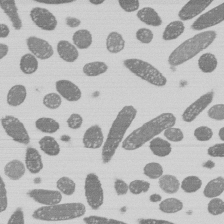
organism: E. coli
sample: Bacterial nucleoid